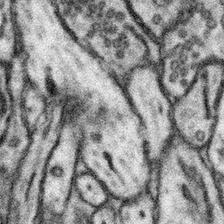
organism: Mouse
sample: Somatosensory cortex neuropil